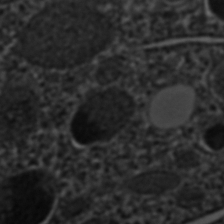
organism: C. elegans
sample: C. elegans embryo